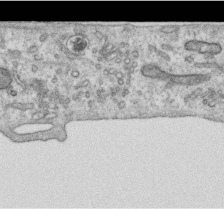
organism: Human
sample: Centriole in RPE cells